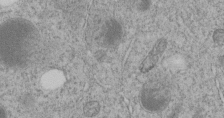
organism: C. elegans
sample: C. elegans embryo early stage